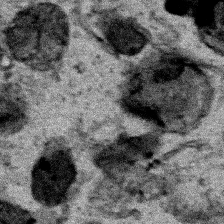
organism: Human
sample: Mitochondria in HCT116 cells